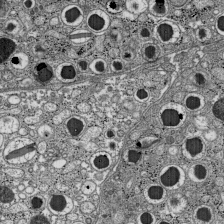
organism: C57BL Mouse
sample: Pancreatic islet